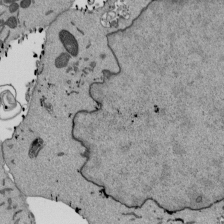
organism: Mouse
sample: ED-1 cell nuclei; centrioles